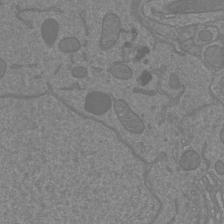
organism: Mouse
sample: Cortical neurons